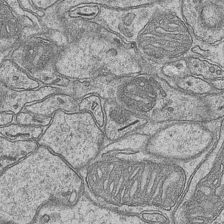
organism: Mouse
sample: CA1 Hippocampus